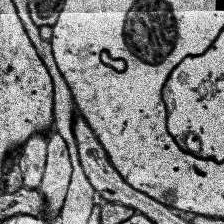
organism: Human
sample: Temporal Lobe